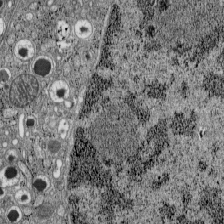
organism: C57BL Mouse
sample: Pancreatic islet